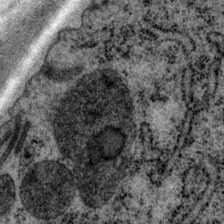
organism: P. pacificus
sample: Pharynx